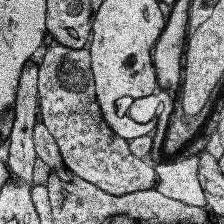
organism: Human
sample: Temporal Lobe